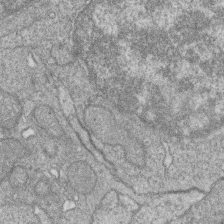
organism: Zebrafish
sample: Cilia; retinal pigment epithelium